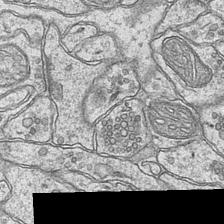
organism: Mouse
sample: CA1 Hippocampus